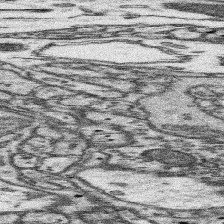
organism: Mouse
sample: Somatosensory cortex neuropil